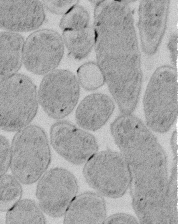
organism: E. coli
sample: Bacterial nucleoid